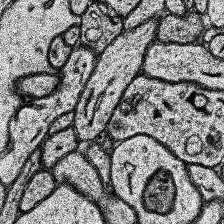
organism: Human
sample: Temporal Lobe